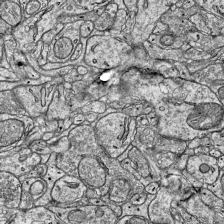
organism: Mouse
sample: Visual Cortex